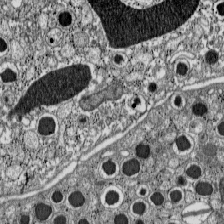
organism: C57BL Mouse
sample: Pancreatic islet